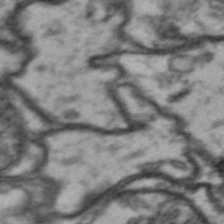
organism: Drosophila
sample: Brain